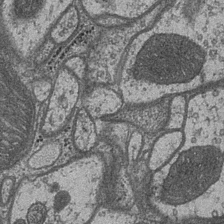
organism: Drosophila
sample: Optic medulla